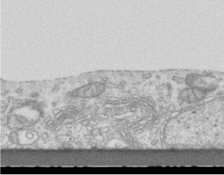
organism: Mouse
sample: Centriole in ependymal cells